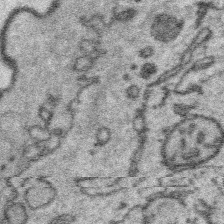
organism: Platynereis dumerilii